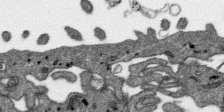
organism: Human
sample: Lung epithelial cells, uninfected (mock) control